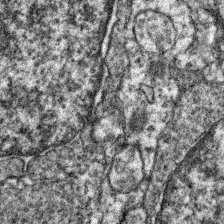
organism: Zebrafish